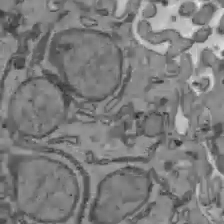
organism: C57BL Mouse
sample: Liver